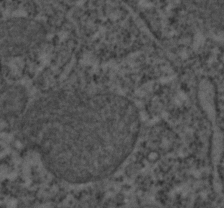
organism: C. elegans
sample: C. elegans embryo